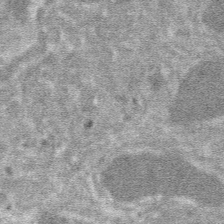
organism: Mouse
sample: Mouse hepatocytes